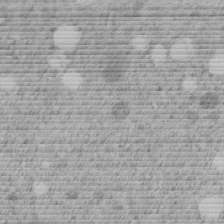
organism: C. elegans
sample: C. elegans embryo early stage